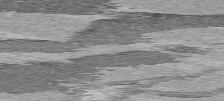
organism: C57BL Mouse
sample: Heart